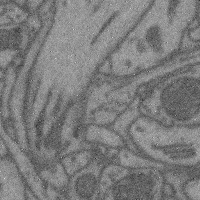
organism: Mouse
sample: Cerebral cortex